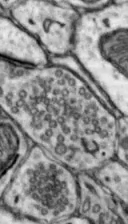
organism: Mouse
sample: Nucleus accumbens